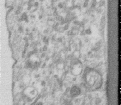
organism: Human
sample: Centriole in RPE cells